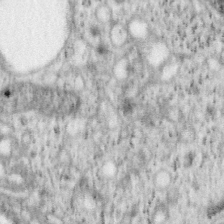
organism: Mouse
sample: OT-I killer T cells with ID8 ovarian cancer cells